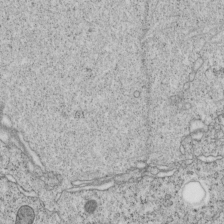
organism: C. elegans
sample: C. elegans embryo early stage